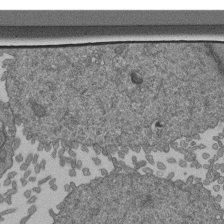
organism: Human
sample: Retinal organoid Rod and Cone cells